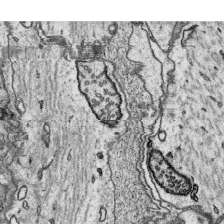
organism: Platynereis dumerilii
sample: Parapodia